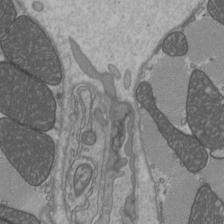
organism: C57BL Mouse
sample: Heart